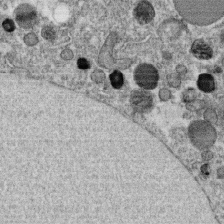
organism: C. elegans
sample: C. elegans oocyte; sperm cells